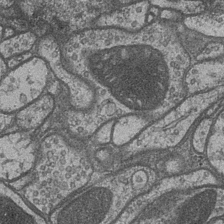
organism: Drosophila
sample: Optic medulla